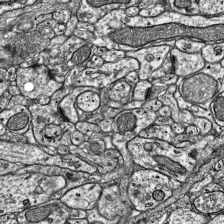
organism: Mouse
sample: Visual Cortex